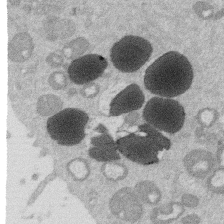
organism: Mouse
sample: Dividing mouse embryo 1 cell stage